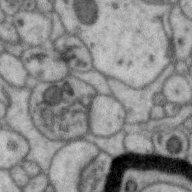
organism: Zebra finch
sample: Brain